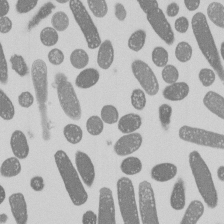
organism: E. coli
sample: Bacterial nucleoid